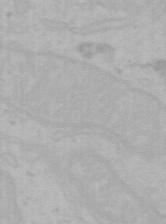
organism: Mouse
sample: Choroid plexus